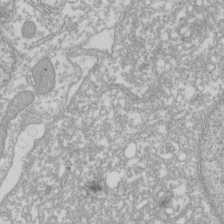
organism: Xenopus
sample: Cilia; centrioles in frog embryo cells